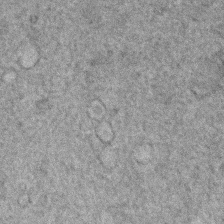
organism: Human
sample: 1205lu cells